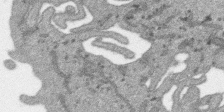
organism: Human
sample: Lung epithelial cells infected with SARS-CoV-2